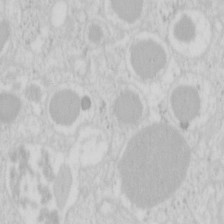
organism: Mouse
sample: Pancreas